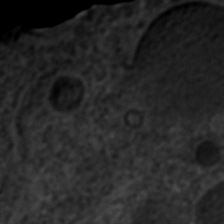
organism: C. elegans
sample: C. elegans embryo